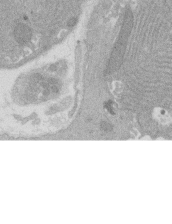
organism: Rat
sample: Salivary granule